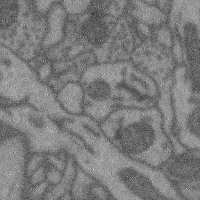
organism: Mouse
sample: Cerebral cortex